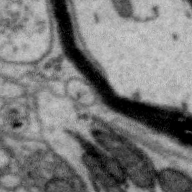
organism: Zebra finch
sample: Brain